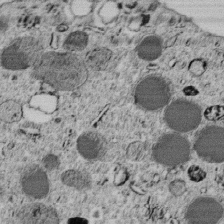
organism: C. elegans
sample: C. elegans embryo early stage